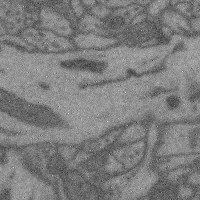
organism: Mouse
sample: Cerebral cortex